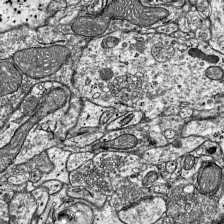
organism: Mouse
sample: Visual Cortex